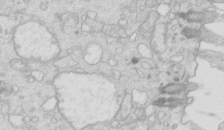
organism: Mouse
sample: Multiciliated cells